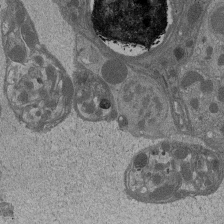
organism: Drosophila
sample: Antenna